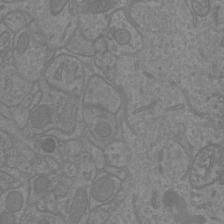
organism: Mouse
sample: Cortical neurons